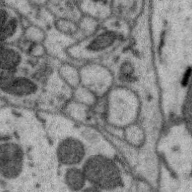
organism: Zebra finch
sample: Brain